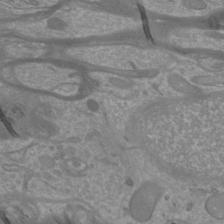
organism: Mouse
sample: Cortical neurons